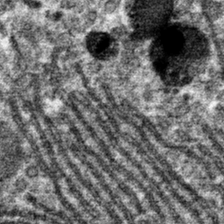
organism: Mouse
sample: Mouse hepatocytes